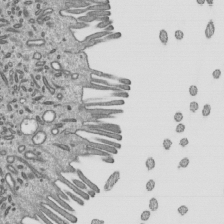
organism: Mouse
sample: Mouse epididymis efferent ductule cilia